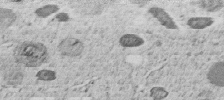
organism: C. elegans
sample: C. elegans embryo early stage